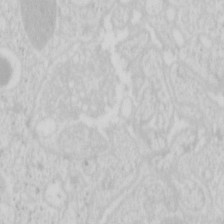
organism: Mouse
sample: Pancreas